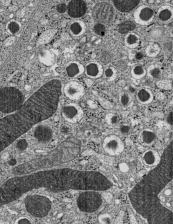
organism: C57BL Mouse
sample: Pancreatic islet